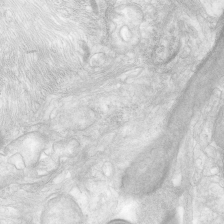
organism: Human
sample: Neocortex